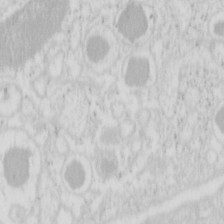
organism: Mouse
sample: Pancreas